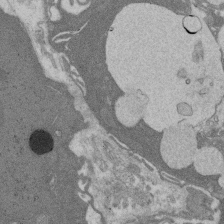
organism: Rat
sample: Salivary granule